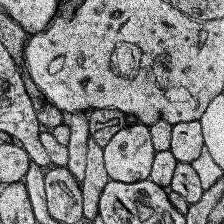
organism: Human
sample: Temporal Lobe